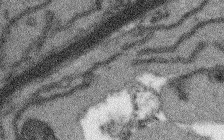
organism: Arabidopsis thaliana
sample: Root tip